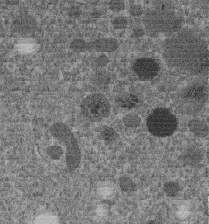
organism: C. elegans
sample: C. elegans embryo early stage